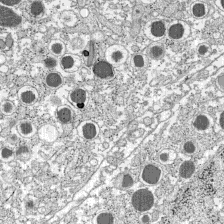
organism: C57BL Mouse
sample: Pancreatic islet